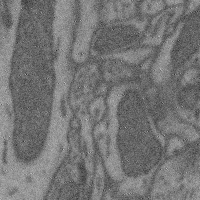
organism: Mouse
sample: Cerebral cortex